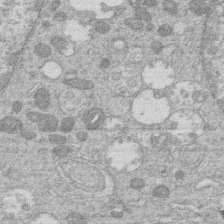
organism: Human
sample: Macrophage cells